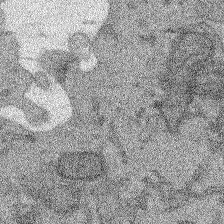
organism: Human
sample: HeLa cells